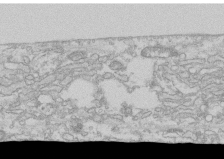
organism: Human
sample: CRL-1474